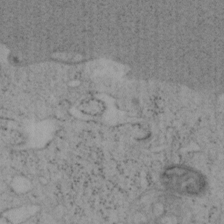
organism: Mouse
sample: OT-I killer T cells with ID8 ovarian cancer cells